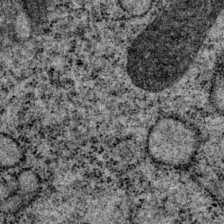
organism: P. pacificus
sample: Pharynx